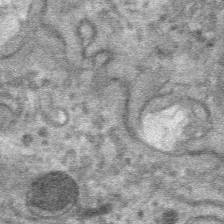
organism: Mouse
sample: Mouse hepatocytes